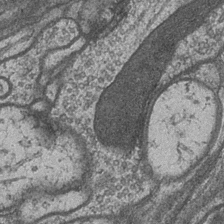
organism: Drosophila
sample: Optic medulla